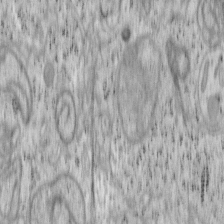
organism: Human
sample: HeLa cells